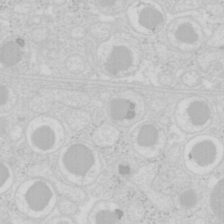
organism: Mouse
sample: Pancreas